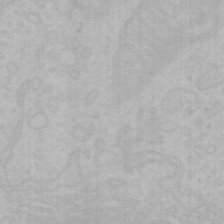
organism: Mouse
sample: Choroid plexus